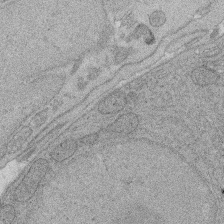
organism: Rat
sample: Salivary granule